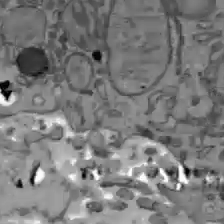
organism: C57BL Mouse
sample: Liver